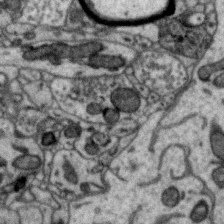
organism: Zebra finch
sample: Brain